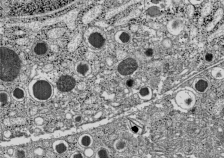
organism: C57BL Mouse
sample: Pancreatic islet